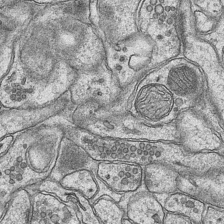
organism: Mouse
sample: CA1 Hippocampus